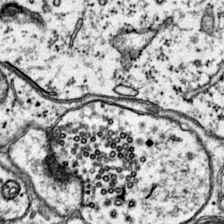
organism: Mouse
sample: Primary visual cortex